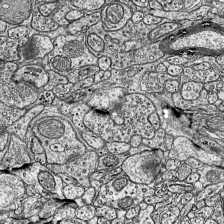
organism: Mouse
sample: Visual Cortex